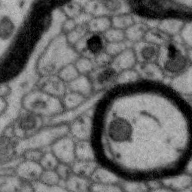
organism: Zebra finch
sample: Brain